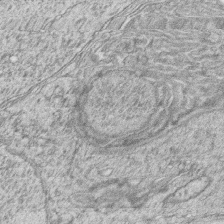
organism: Zebrafish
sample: synaptic ribbons in rod cells and cone cells